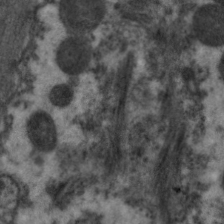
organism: C. elegans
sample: Pharynx